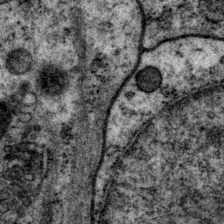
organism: P. pacificus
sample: Pharynx